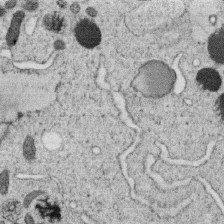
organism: C. elegans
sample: C. elegans oocyte; sperm cells